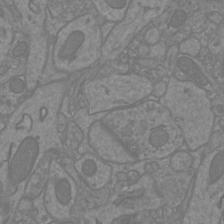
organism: Mouse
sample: Cortical neurons